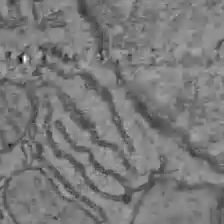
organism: C57BL Mouse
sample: Liver